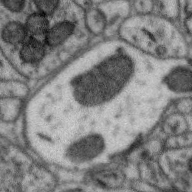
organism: Zebra finch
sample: Brain